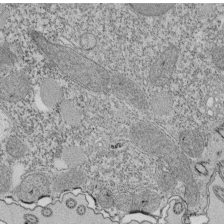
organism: Tetrahymena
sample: Cilia in tetrahymena